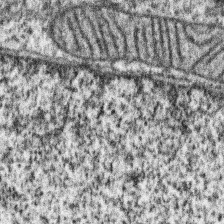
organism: Human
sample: HeLa cells